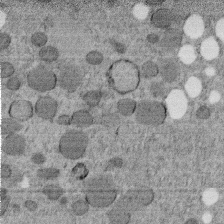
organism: C. elegans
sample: C. elegans embryo early stage